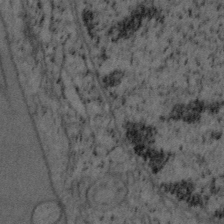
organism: Human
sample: HeLa cells